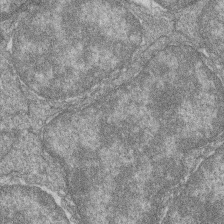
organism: Zebrafish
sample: Cilia; retinal pigment epithelium